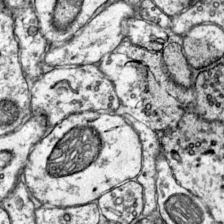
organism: Mouse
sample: Primary visual cortex